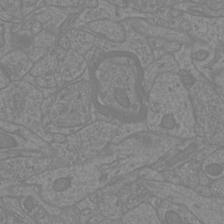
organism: Mouse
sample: Cortical neurons